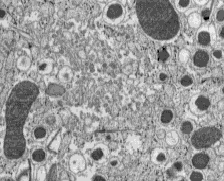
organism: C57BL Mouse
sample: Pancreatic islet